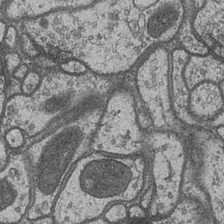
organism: Drosophila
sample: Optic medulla